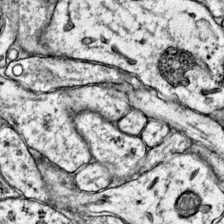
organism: Mouse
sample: Primary visual cortex